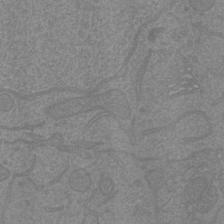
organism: Mouse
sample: Cortical neurons